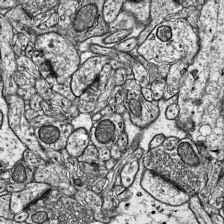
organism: Mouse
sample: Visual Cortex